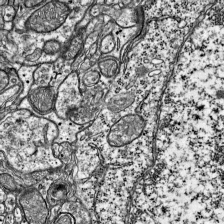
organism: Mouse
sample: Visual Cortex